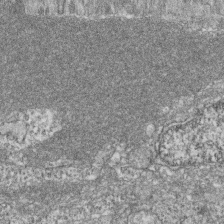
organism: Zebrafish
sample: Cilia; retinal pigment epithelium